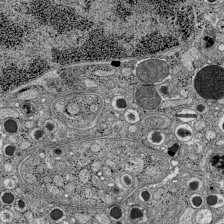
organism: C57BL Mouse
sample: Pancreatic islet